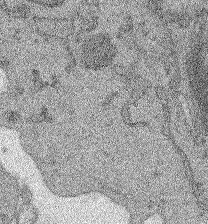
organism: Human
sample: HeLa cells